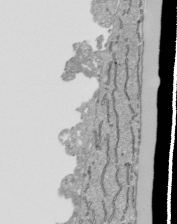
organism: Human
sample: Mitochondria in HCT116 cells